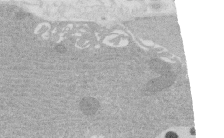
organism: Rat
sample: Salivary granule